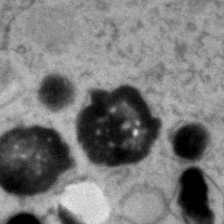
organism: Zebrafish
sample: Zebrafish embryo